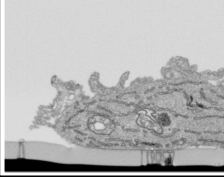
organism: Human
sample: Mitochondria in HCT116 cells